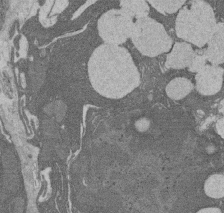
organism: Rat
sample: Salivary granule